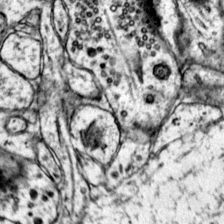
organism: Mouse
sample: Primary visual cortex